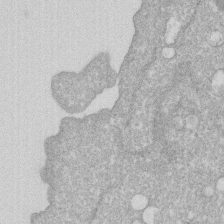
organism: Human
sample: HIV infected U937 cells